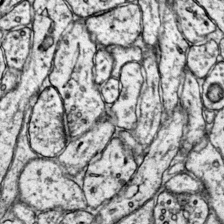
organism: Mouse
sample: Primary visual cortex